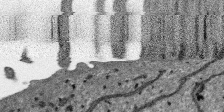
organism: Human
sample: Lung epithelial cells, uninfected (mock) control